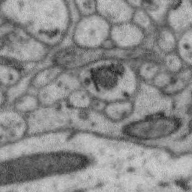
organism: Zebra finch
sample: Brain